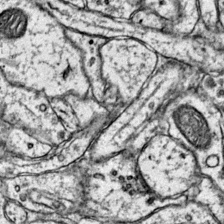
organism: Mouse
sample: Primary visual cortex